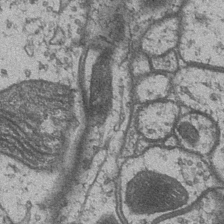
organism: Drosophila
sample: Optic medulla